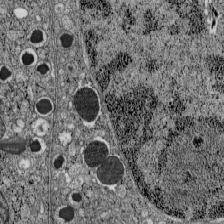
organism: C57BL Mouse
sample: Pancreatic islet